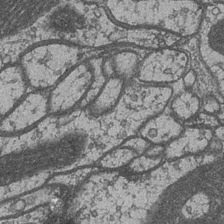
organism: Drosophila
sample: Optic medulla